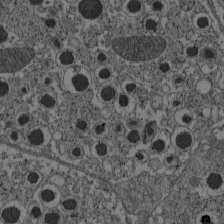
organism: C57BL Mouse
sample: Pancreatic islet